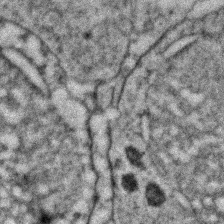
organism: Zebrafish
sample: Zebrafish embryo